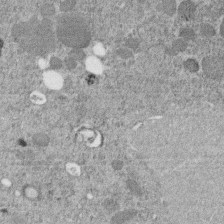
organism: C. elegans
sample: C. elegans embryo early stage